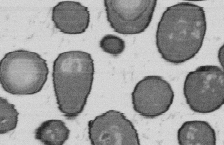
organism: B. subtilis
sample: Bacterial spore